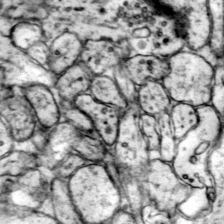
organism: Mouse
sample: Primary visual cortex